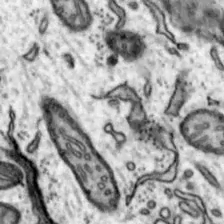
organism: Mouse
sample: Nucleus accumbens